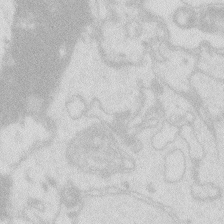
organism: Zebrafish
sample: Macrophage